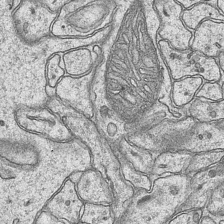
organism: Mouse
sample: CA1 Hippocampus